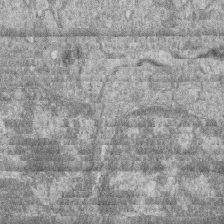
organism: Zebrafish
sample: Cilia; retinal pigment epithelium